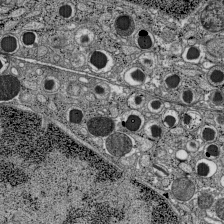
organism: C57BL Mouse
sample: Pancreatic islet